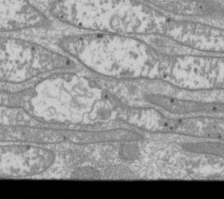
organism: Drosophila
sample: Cell division; meiosis; drosophila spermatocytes